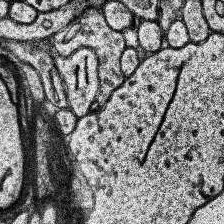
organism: Human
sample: Temporal Lobe